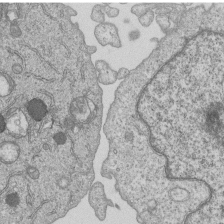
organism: Human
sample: MDA-MB-231 cells